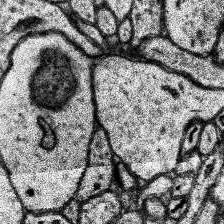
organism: Human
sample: Temporal Lobe